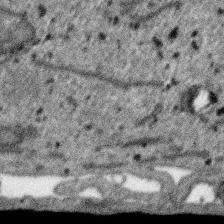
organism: Human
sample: Lung epithelial cells infected with SARS-CoV-2